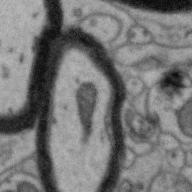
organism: Zebra finch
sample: Brain